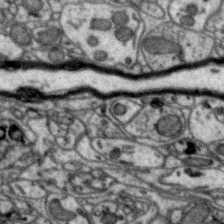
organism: Zebra finch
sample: Brain